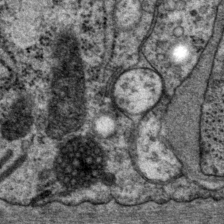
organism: P. pacificus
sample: Pharynx